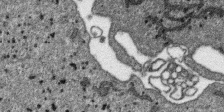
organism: Human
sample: Lung epithelial cells infected with SARS-CoV-2